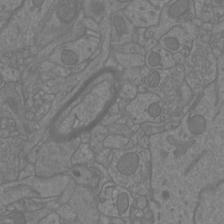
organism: Mouse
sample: Cortical neurons